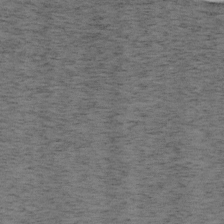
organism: Mouse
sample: OT-I killer T cells with ID8 ovarian cancer cells